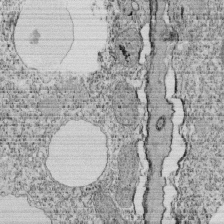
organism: Tetrahymena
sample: Cilia in tetrahymena